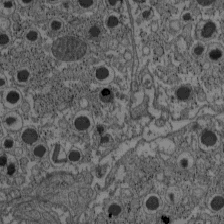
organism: C57BL Mouse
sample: Pancreatic islet